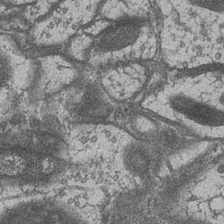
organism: Drosophila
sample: Optic medulla